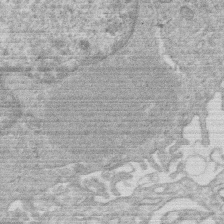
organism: Human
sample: Macrophage cells